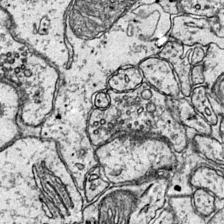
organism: Mouse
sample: Primary visual cortex